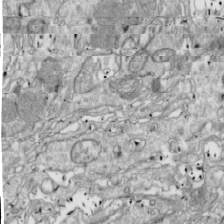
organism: Drosophila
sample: Cell division; meiosis; drosophila spermatocytes